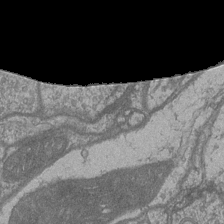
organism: Drosophila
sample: Optic medulla